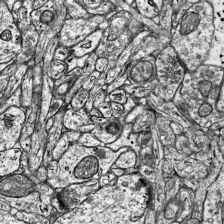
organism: Mouse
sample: Visual Cortex